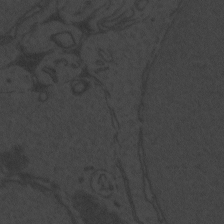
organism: Zebrafish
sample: Macrophage infected with Toxoplasma gondii